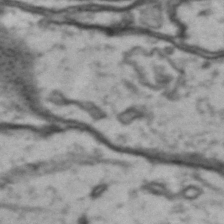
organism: Drosophila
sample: Brain